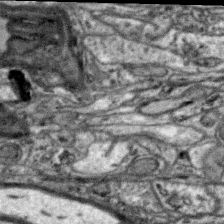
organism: Zebra finch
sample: Brain